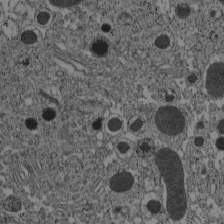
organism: C57BL Mouse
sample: Pancreatic islet